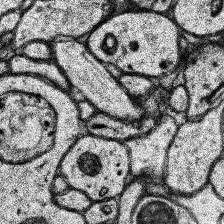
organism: Human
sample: Temporal Lobe